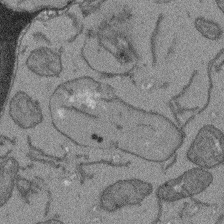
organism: Arabidopsis thaliana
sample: Root tip